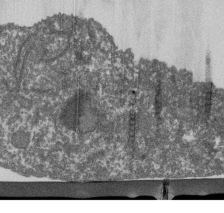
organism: Dictyostelium discoideum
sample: Dictyostelium multivesicular bodies